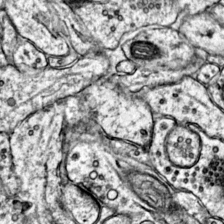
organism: Mouse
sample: Primary visual cortex